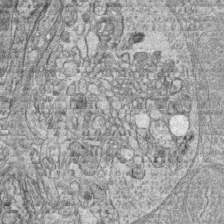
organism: Zebrafish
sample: synaptic ribbons in rod cells and cone cells